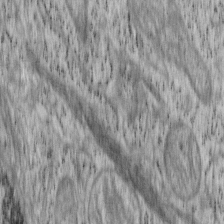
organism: Human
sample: HeLa cells